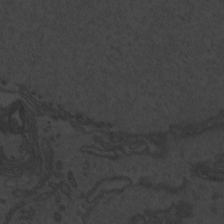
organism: Zebrafish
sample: Macrophage infected with Toxoplasma gondii